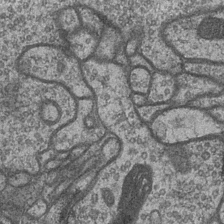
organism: Drosophila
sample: Optic medulla